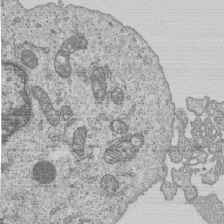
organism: Human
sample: MDA-MB-231 cells